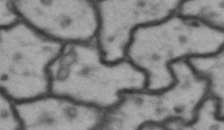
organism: Drosophila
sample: Brain